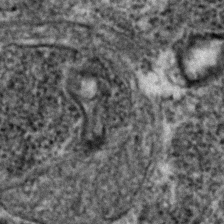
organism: Zebrafish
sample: Zebrafish embryo